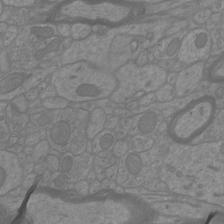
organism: Mouse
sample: Cortical neurons